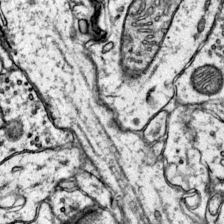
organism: Mouse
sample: Primary visual cortex